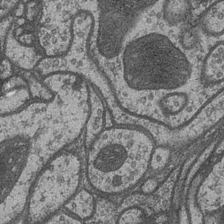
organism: Drosophila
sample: Optic medulla